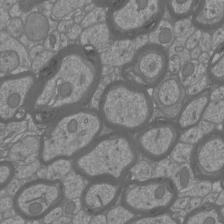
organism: Mouse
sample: Cortical neurons